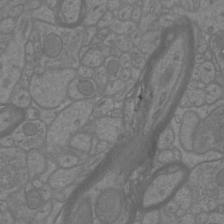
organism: Mouse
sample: Cortical neurons